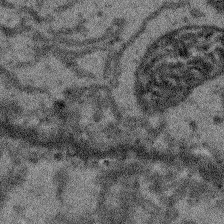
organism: Arabidopsis thaliana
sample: Root tip